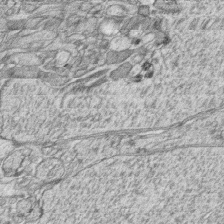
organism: Zebrafish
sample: synaptic ribbons in rod cells and cone cells